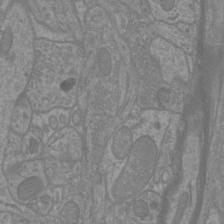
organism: Mouse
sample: Cortical neurons